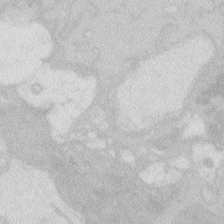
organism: Zebrafish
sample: Macrophage